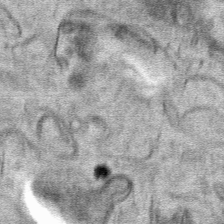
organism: Mouse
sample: Mouse hepatocytes